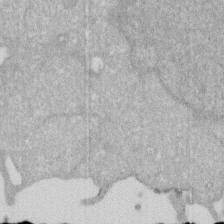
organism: Human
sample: HIV infected U937 cells